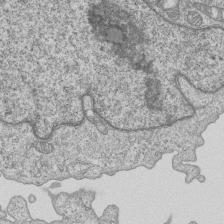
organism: Human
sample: MDA-MB-231 cells